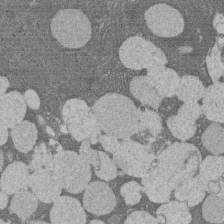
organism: Rat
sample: Salivary granule